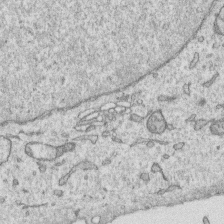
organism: Human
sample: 1205lu cells